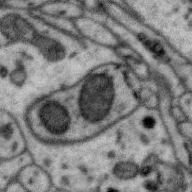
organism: Zebra finch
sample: Brain